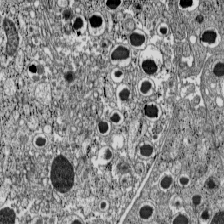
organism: C57BL Mouse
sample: Pancreatic islet